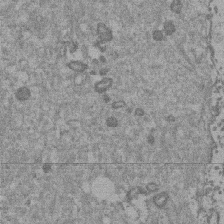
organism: Mouse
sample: Dividing mouse embryo 1 cell stage